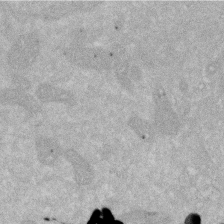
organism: Human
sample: HIV infected U937 cells